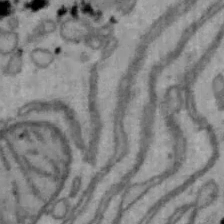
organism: Mouse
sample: Liver